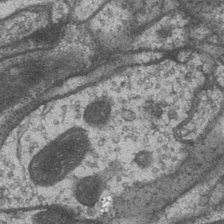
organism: Drosophila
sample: Optic medulla